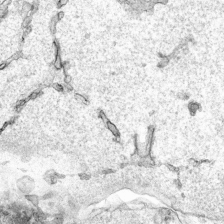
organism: Human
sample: Mitochondria in HCT116 cells